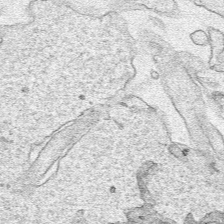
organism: Human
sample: Mitochondria in HCT116 cells